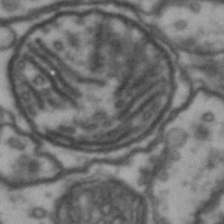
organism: Drosophila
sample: Brain